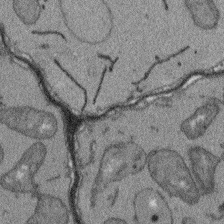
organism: Arabidopsis thaliana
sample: Root tip